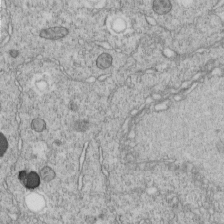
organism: C. elegans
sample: C. elegans embryo early stage